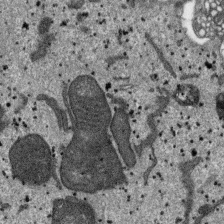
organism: Human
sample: Lung epithelial cells, uninfected (mock) control